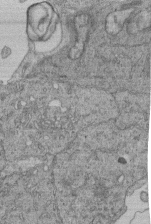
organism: Human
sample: Retinal organoid Rod and Cone cells